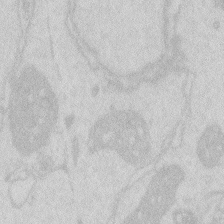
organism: Zebrafish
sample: Macrophage